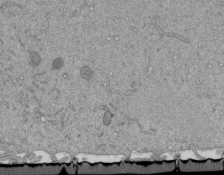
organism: Mouse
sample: ED-1 cell nuclei; centrioles